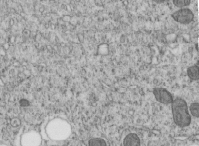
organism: C. elegans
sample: C. elegans embryo early stage